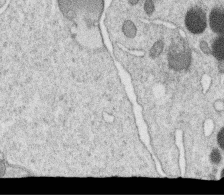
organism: C. elegans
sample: C. elegans oocyte; sperm cells